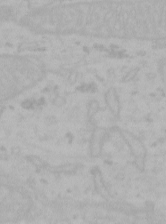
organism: Mouse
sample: Choroid plexus